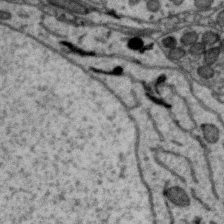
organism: Zebra finch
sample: Brain